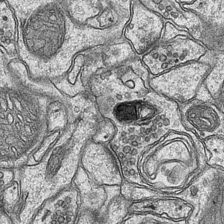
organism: Mouse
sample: CA1 Hippocampus